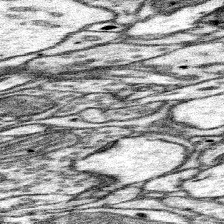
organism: Mouse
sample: Somatosensory cortex neuropil